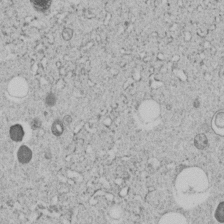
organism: C. elegans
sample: C. elegans embryo early stage